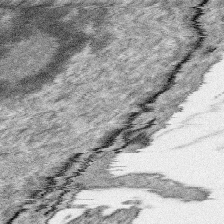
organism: Human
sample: HeLa cells